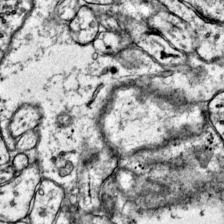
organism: Mouse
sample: Primary visual cortex